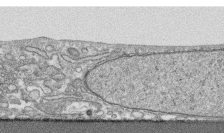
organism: Human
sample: CRL-1474